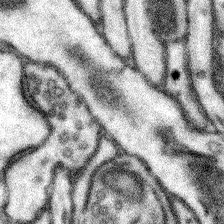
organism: Mouse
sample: Somatosensory cortex neuropil